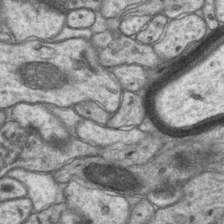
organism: Mouse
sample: CA1 Hippocampus